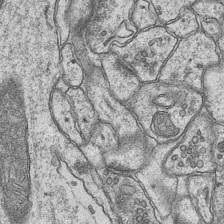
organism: Mouse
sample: CA1 Hippocampus